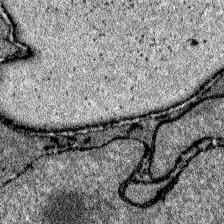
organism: Zebrafish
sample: Larval olfactory bulb